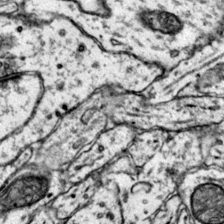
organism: Mouse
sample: Primary visual cortex